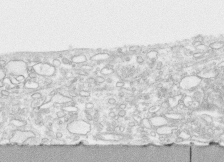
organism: Human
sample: CRL-1474